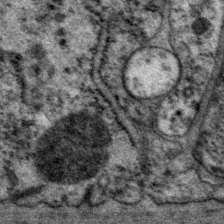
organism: P. pacificus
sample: Pharynx